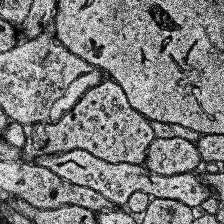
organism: Human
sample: Temporal Lobe